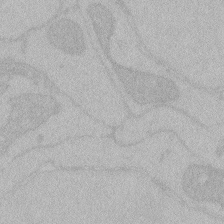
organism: Zebrafish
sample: Macrophage infected with Toxoplasma gondii